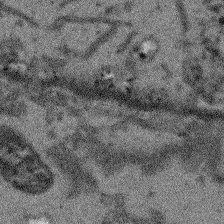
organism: Arabidopsis thaliana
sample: Root tip